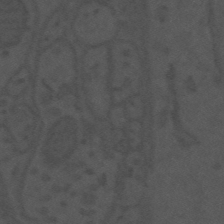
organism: Mouse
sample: Suprachiasmatic nucleus